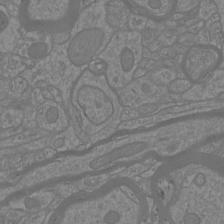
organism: Mouse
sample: Cortical neurons